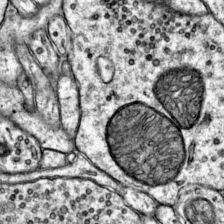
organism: Mouse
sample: Primary visual cortex